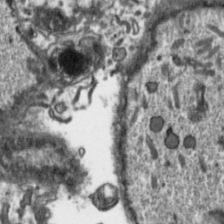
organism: Toxoplasma gondii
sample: Parasites in a vacuole inside a host cell